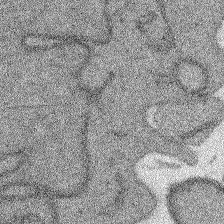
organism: Human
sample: HeLa cells